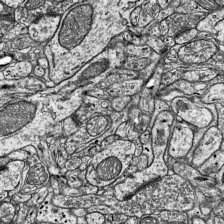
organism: Mouse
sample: Visual Cortex